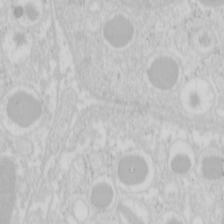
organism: Mouse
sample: Pancreas